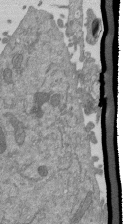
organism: Mouse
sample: ED-1 cell nuclei; centrioles